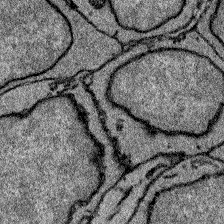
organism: Zebrafish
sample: Larval olfactory bulb